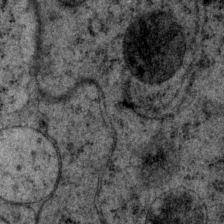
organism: P. pacificus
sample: Pharynx